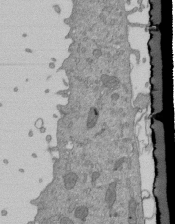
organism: Mouse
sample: ED-1 cell nuclei; centrioles